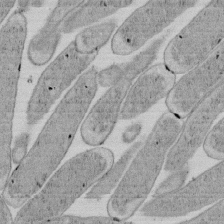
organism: E. coli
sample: Bacterial nucleoid